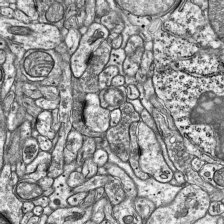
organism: Mouse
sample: Visual Cortex